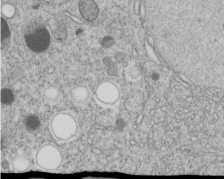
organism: C. elegans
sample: C. elegans embryo early stage